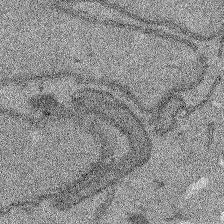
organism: Human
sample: HeLa cells